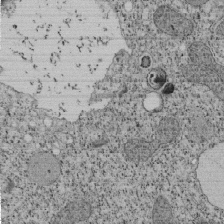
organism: Tetrahymena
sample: Cilia in tetrahymena